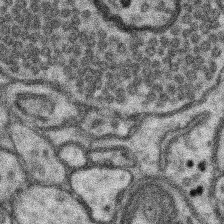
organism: Mouse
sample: Somatosensory cortex neuropil